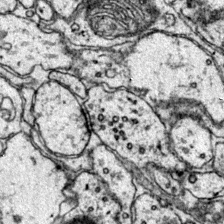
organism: Mouse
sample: Primary visual cortex